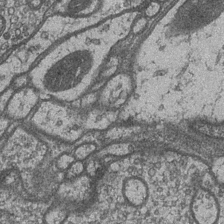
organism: Drosophila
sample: Optic medulla